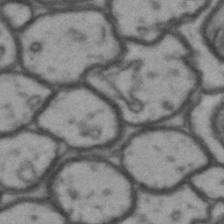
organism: Drosophila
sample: Brain